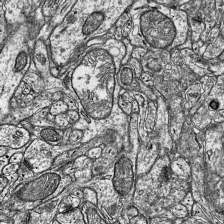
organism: Mouse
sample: Visual Cortex